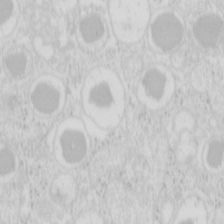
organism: Mouse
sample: Pancreas